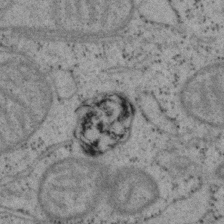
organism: Human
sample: HeLa cells